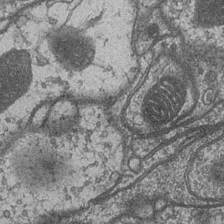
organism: Drosophila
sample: Optic medulla